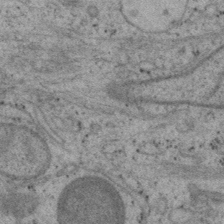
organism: Human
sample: HeLa cells